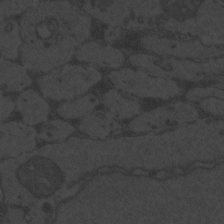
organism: Zebrafish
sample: Macrophage infected with Toxoplasma gondii